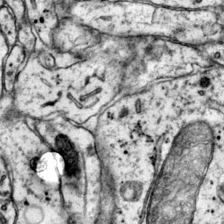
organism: Mouse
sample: Primary visual cortex